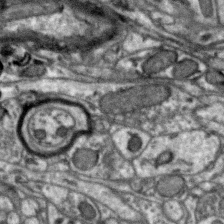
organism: Zebra finch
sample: Brain